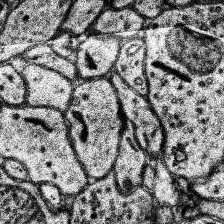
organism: Human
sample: Temporal Lobe